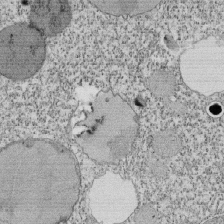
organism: Tetrahymena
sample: Cilia in tetrahymena